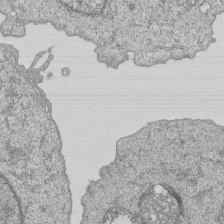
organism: Human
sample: MDA-MB-231 cells